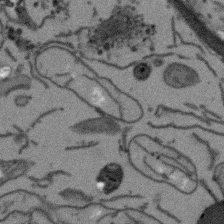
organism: Arabidopsis thaliana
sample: Root tip